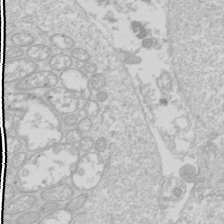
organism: Drosophila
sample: Cell division; meiosis; drosophila spermatocytes